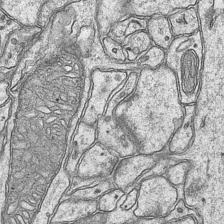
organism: Mouse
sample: CA1 Hippocampus